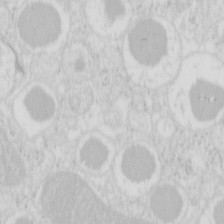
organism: Mouse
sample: Pancreas